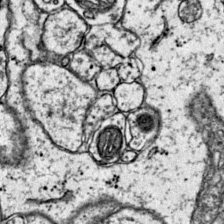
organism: Mouse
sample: Primary visual cortex